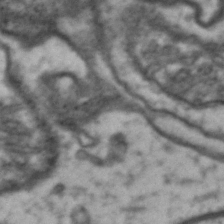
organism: Drosophila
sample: Brain